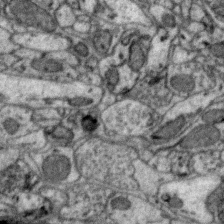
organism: Zebra finch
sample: Brain